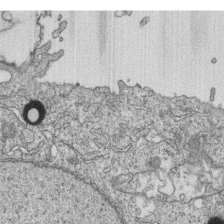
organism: Human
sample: HeLa cell HIV synapse